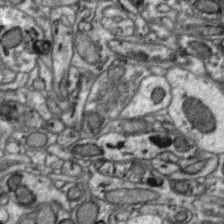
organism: Zebra finch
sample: Brain